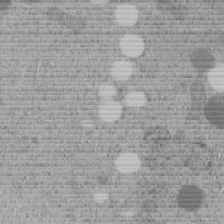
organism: C. elegans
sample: C. elegans embryo early stage